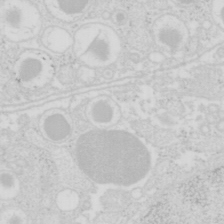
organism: Mouse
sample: Pancreas